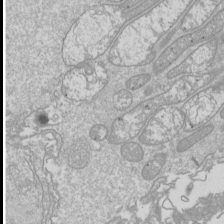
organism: Drosophila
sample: Cell division; meiosis; drosophila spermatocytes